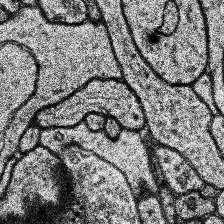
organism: Human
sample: Temporal Lobe